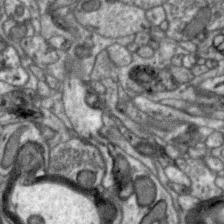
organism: Zebra finch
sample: Brain